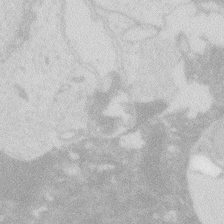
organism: Zebrafish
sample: Macrophage